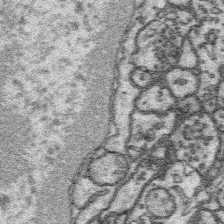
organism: Platynereis dumerilii